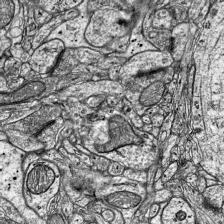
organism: Mouse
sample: Visual Cortex